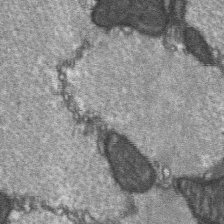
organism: C57BL Mouse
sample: Soleus